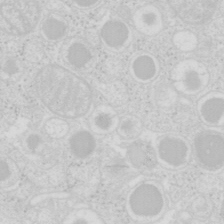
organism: Mouse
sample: Pancreas